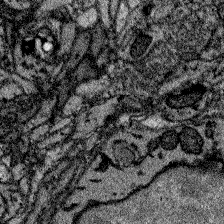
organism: Zebrafish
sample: Larval olfactory bulb